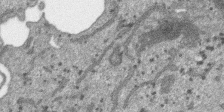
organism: Human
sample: Lung epithelial cells infected with SARS-CoV-2